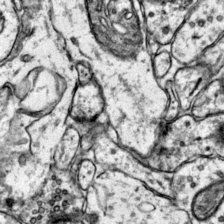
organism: Mouse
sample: Primary visual cortex